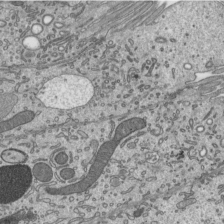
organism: Mouse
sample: Mouse epididymis efferent ductule cilia